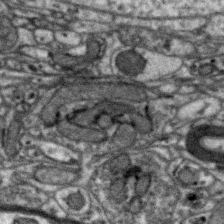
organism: Zebra finch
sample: Brain